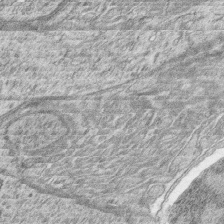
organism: Zebrafish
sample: synaptic ribbons in rod cells and cone cells